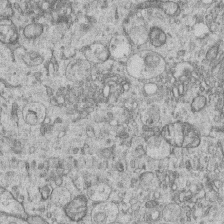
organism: Human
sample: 1205lu cells